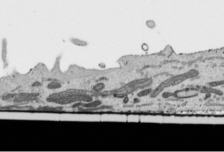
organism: Human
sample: Mitochondria in HCT116 cells